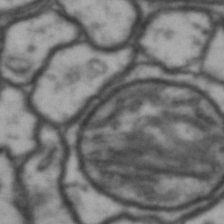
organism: Drosophila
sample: Brain